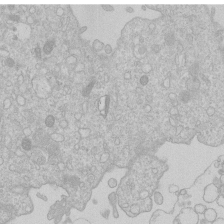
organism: Human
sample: Macrophage cells